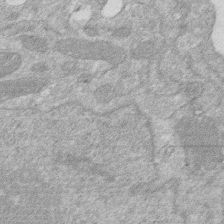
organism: Human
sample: HIV infected U937 cells